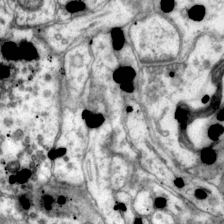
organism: Mouse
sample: Primary visual cortex